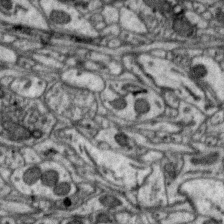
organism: Zebra finch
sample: Brain